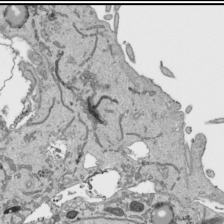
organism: Human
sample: Mitochondria in HCT116 cells